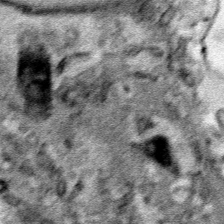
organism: Human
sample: Mitochondria in HCT116 cells